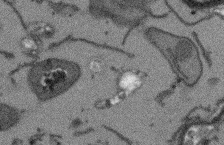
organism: Arabidopsis thaliana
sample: Root tip